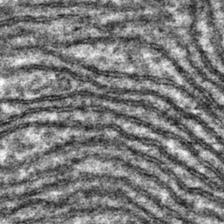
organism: Mouse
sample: Mouse hepatocytes